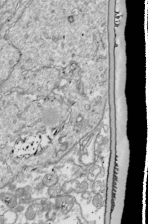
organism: Drosophila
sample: Cell division; meiosis; drosophila spermatocytes